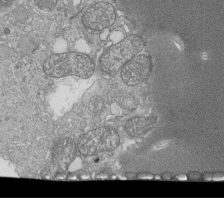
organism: Tetrahymena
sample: Cilia in tetrahymena